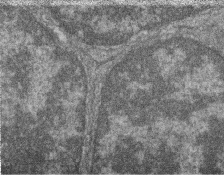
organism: Zebrafish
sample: Cilia; retinal pigment epithelium